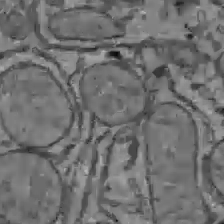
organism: C57BL Mouse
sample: Liver